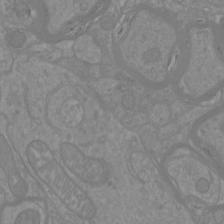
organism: Mouse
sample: Cortical neurons